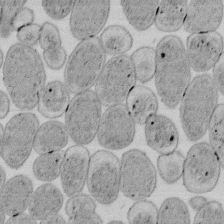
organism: E. coli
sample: Bacterial nucleoid